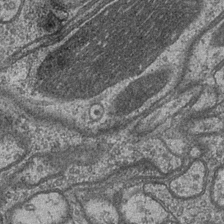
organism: Drosophila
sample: Optic medulla